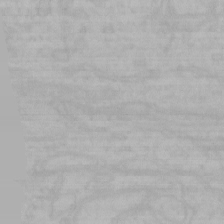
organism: Mouse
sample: Choroid plexus